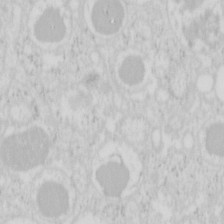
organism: Mouse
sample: Pancreas